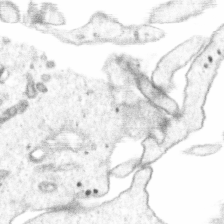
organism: Human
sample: HeLa cells